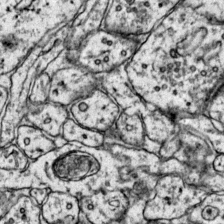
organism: Mouse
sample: Primary visual cortex